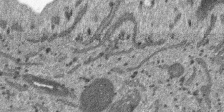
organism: Human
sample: Lung epithelial cells infected with SARS-CoV-2